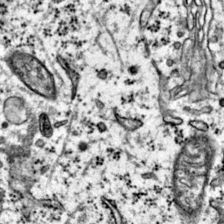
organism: Mouse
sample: Primary visual cortex